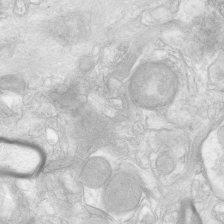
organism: Human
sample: Neocortex